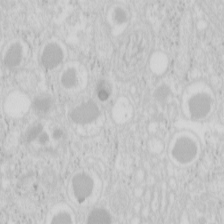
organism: Mouse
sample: Pancreas